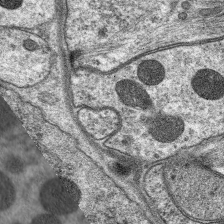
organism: C. elegans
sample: Pharynx